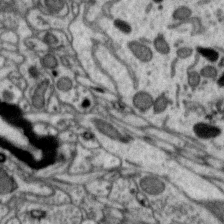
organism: Zebra finch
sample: Brain